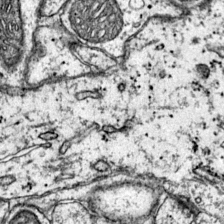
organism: Mouse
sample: Primary visual cortex